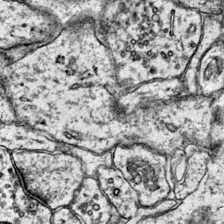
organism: Mouse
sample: Primary visual cortex